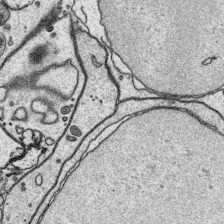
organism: Platynereis dumerilii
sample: Parapodia